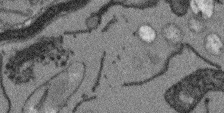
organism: Arabidopsis thaliana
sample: Root tip